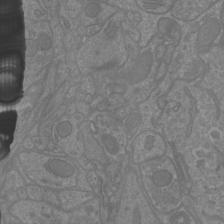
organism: Mouse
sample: Cortical neurons